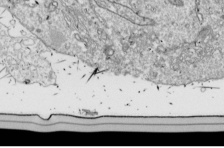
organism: Drosophila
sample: Cell division; meiosis; drosophila spermatocytes